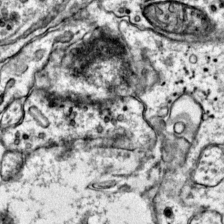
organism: Mouse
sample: Primary visual cortex